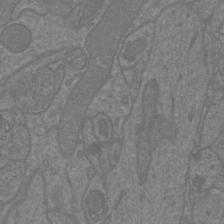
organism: Mouse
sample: Cortical neurons